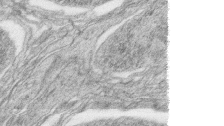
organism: Zebrafish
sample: synaptic ribbons in rod cells and cone cells